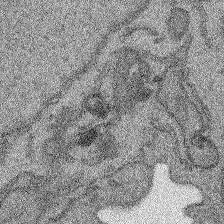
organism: Human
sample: HeLa cells